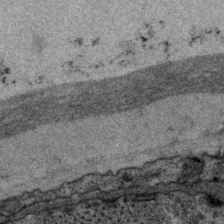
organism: P. pacificus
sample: Pharynx